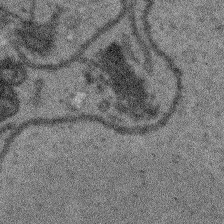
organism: Arabidopsis thaliana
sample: Root tip